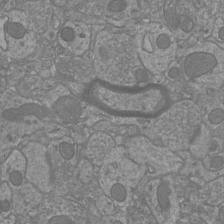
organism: Mouse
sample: Cortical neurons